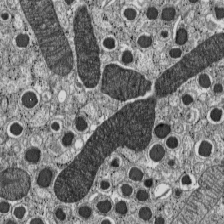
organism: C57BL Mouse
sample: Pancreatic islet